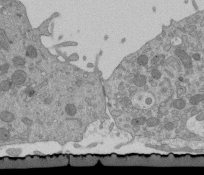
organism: Mouse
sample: ED-1 cell nuclei; centrioles